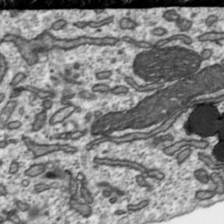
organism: Toxoplasma gondii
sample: Parasites in a vacuole inside a host cell